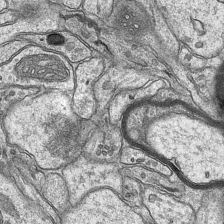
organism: Mouse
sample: CA1 Hippocampus